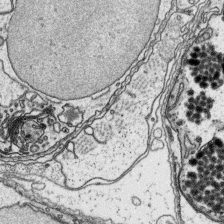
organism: Platynereis dumerilii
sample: Parapodia